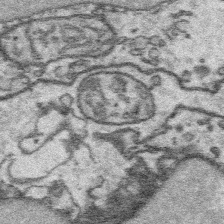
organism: Platynereis dumerilii